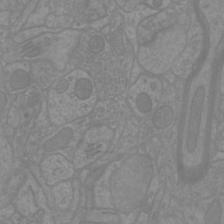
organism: Mouse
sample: Cortical neurons